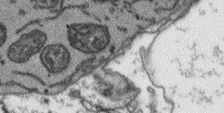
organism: Arabidopsis thaliana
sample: Root tip